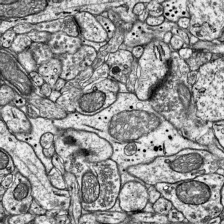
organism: Mouse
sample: Visual Cortex